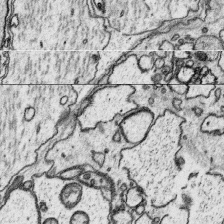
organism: Platynereis dumerilii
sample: Parapodia